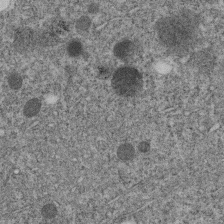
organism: C. elegans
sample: C. elegans embryo early stage